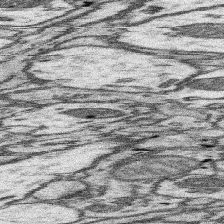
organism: Mouse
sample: Somatosensory cortex neuropil